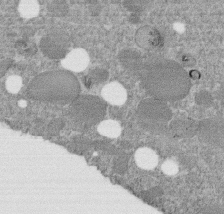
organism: C. elegans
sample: C. elegans embryo early stage